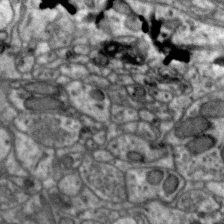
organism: Zebra finch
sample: Brain